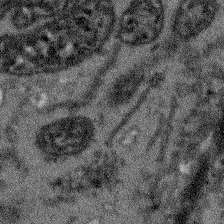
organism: Arabidopsis thaliana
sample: Root tip